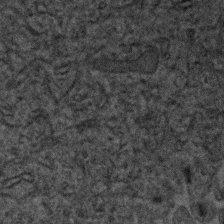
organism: Human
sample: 1205lu cells